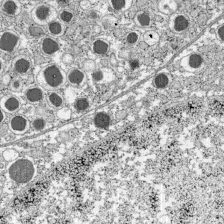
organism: C57BL Mouse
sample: Pancreatic islet